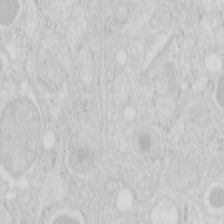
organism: Mouse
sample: Pancreas